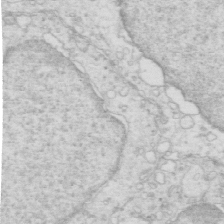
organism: Mouse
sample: Multiciliated cells